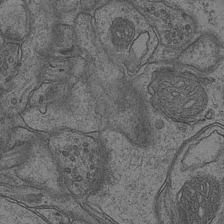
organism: Mouse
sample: CA1 Hippocampus